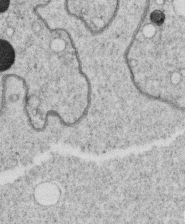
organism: C. elegans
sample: C. elegans oocyte; sperm cells